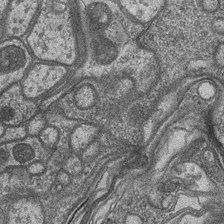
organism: Drosophila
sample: Optic medulla